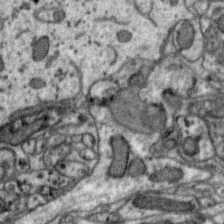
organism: Zebra finch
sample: Brain